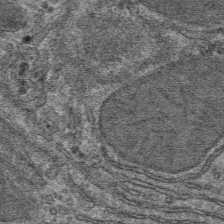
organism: Mouse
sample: Mouse hepatocytes